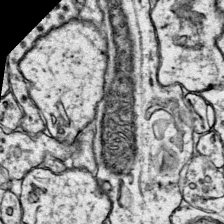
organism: Mouse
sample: Primary visual cortex